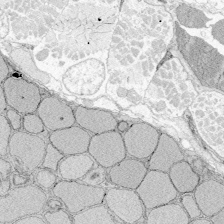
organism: Zebrafish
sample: Whole-Brain